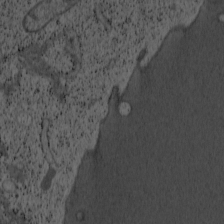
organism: African green monkey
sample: COS-7 cells